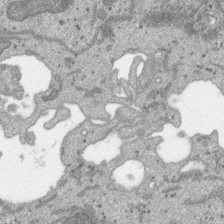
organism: Human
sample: Lung epithelial cells infected with SARS-CoV-2